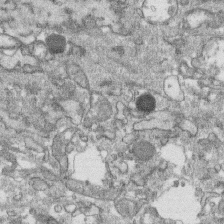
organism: Human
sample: CRL-1474